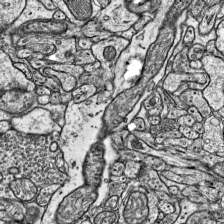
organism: Mouse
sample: Visual Cortex